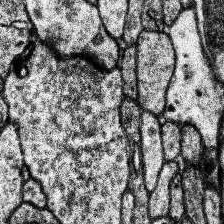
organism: Human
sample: Temporal Lobe